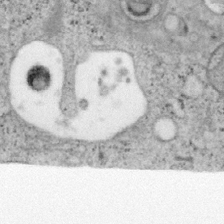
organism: Mouse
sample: OT-I killer T cells with ID8 ovarian cancer cells